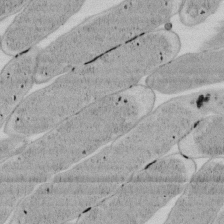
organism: E. coli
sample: Bacterial nucleoid